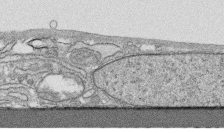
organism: Human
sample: CRL-1474